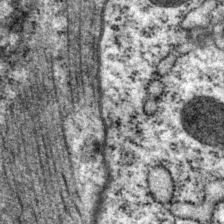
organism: P. pacificus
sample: Pharynx